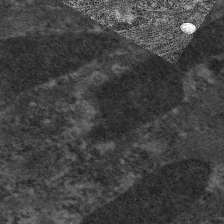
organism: C. elegans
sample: Pharynx